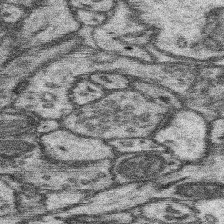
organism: Mouse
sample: Somatosensory cortex neuropil